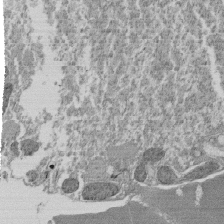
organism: Tetrahymena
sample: Cilia in tetrahymena